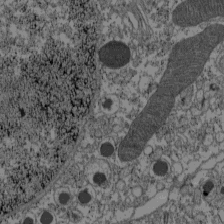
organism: C57BL Mouse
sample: Pancreatic islet